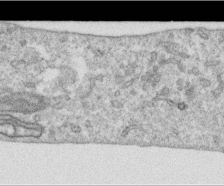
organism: Human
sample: Centriole in RPE cells